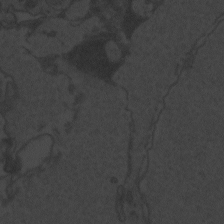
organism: Zebrafish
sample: Macrophage infected with Toxoplasma gondii